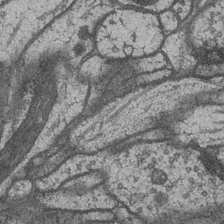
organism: Drosophila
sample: Optic medulla